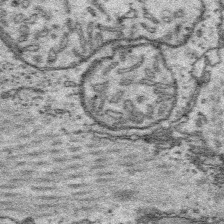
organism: Platynereis dumerilii